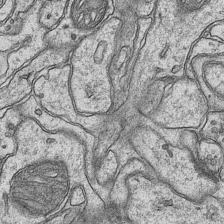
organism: Mouse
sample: CA1 Hippocampus